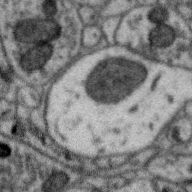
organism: Zebra finch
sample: Brain